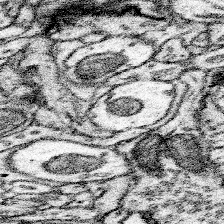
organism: Mouse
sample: Somatosensory cortex neuropil